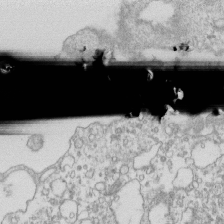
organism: Mouse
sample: Macrophages